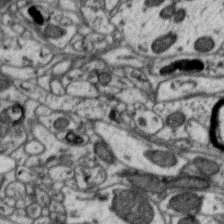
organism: Zebra finch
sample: Brain